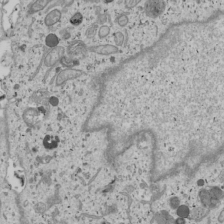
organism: Human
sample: Mitochondria in U2OS cells